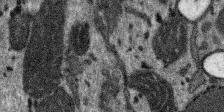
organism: Human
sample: Lung epithelial cells infected with SARS-CoV-2